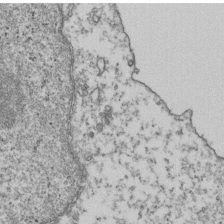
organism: Human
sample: Activated Jurkat CD4+ T cells